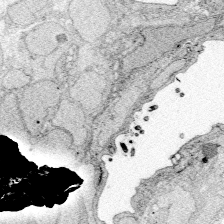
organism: Zebrafish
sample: Whole-Brain